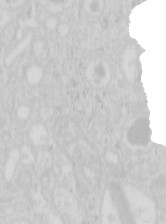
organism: Mouse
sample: Pancreas